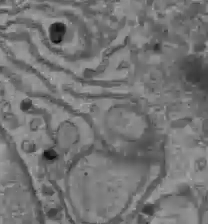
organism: C57BL Mouse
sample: Liver